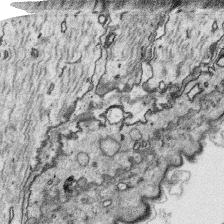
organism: Platynereis dumerilii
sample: Parapodia